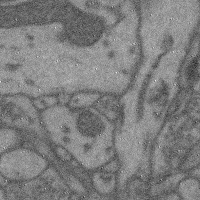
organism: Mouse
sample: Cerebral cortex